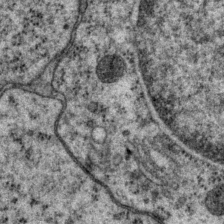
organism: P. pacificus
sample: Pharynx